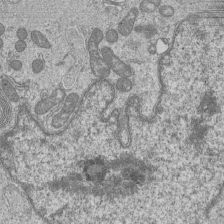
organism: Human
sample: MDA-MB-231 cells